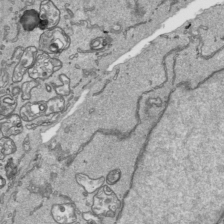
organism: Human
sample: Mitochondria in HCT116 cells